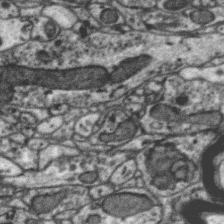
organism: Zebra finch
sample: Brain